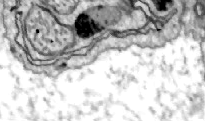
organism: Zebrafish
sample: Actinotrichia fibers